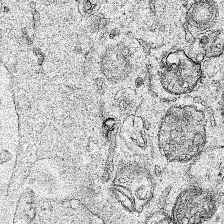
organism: Human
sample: Mitochondria in HCT116 cells